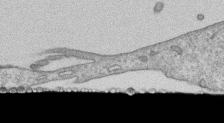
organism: Human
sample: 1205lu cells